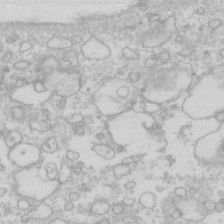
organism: Human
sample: Fibroblast cells